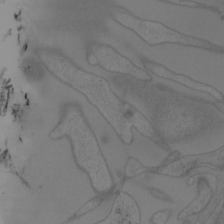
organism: Mouse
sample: OT-I killer T cells with ID8 ovarian cancer cells